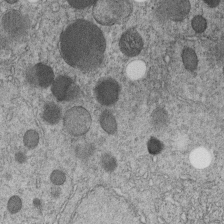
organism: C. elegans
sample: C. elegans embryo early stage